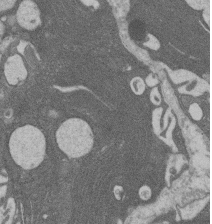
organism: Rat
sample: Salivary granule